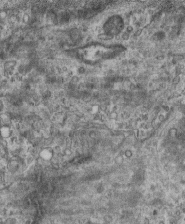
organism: Mouse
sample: Centriole in ependymal cells